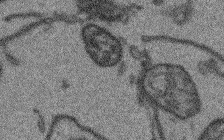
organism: Arabidopsis thaliana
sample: Root tip